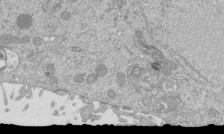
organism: Mouse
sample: ED-1 cell nuclei; centrioles